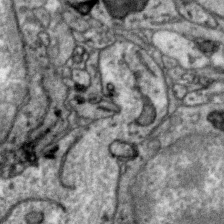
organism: Zebra finch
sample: Brain